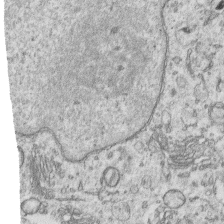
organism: Human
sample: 1205lu cells